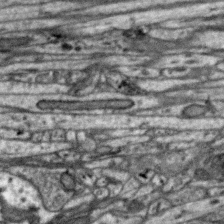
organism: Zebra finch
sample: Brain